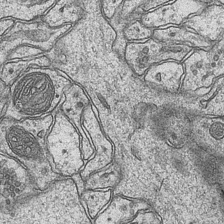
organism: Mouse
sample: CA1 Hippocampus